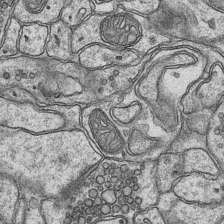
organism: Mouse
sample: CA1 Hippocampus